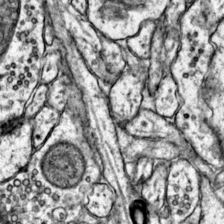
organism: Mouse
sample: Primary visual cortex